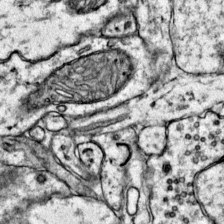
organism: Mouse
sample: Primary visual cortex